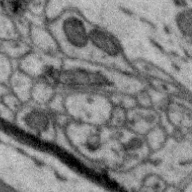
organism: Zebra finch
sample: Brain